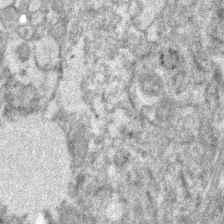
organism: Human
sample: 1205lu cells